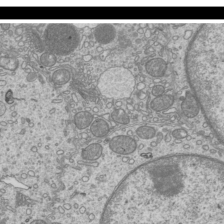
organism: Mouse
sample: Cilia; mouse epididymis